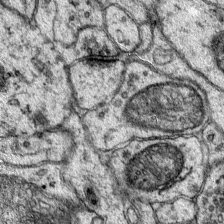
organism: Mouse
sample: Primary visual cortex